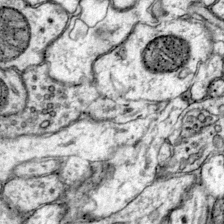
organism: Mouse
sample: Primary visual cortex